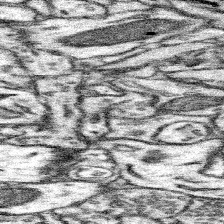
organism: Mouse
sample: Somatosensory cortex neuropil